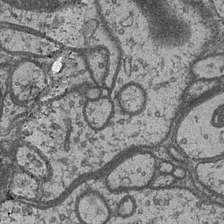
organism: Drosophila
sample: Optic medulla